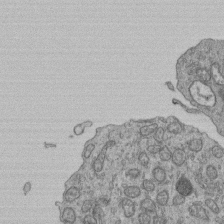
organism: Human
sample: Retinal organoid Rod and Cone cells